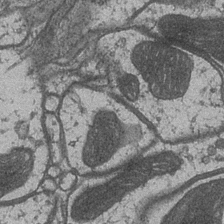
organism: Drosophila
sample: Optic medulla